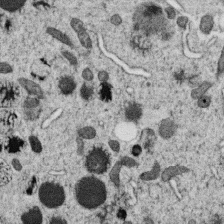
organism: C. elegans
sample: C. elegans oocyte; sperm cells